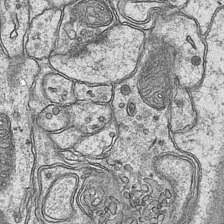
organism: Mouse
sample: CA1 Hippocampus